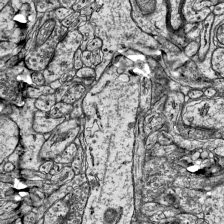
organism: Mouse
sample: Visual Cortex